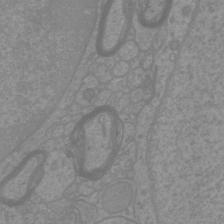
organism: Mouse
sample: Cortical neurons